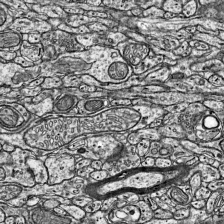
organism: Mouse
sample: Visual Cortex